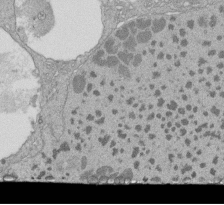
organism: Tetrahymena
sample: Cilia in tetrahymena